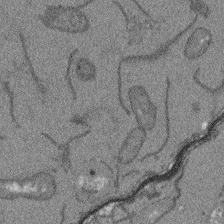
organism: Arabidopsis thaliana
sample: Root tip